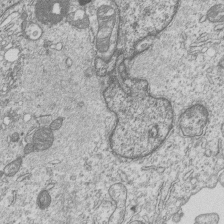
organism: Human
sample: MDA-MB-231 cells